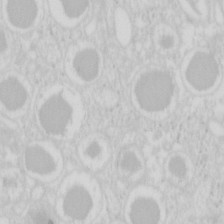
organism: Mouse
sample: Pancreas